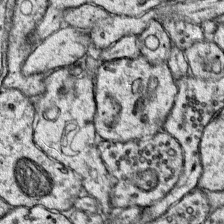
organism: Mouse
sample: Primary visual cortex